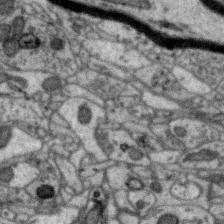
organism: Zebra finch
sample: Brain